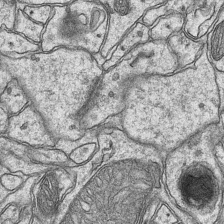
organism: Mouse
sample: CA1 Hippocampus